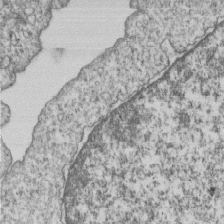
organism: Human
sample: MDA-MB-231 cells